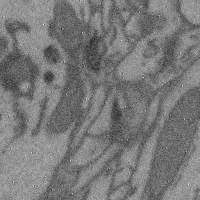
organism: Mouse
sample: Cerebral cortex